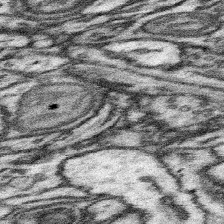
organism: Mouse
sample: Somatosensory cortex neuropil